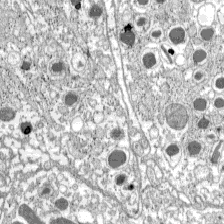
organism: C57BL Mouse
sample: Pancreatic islet